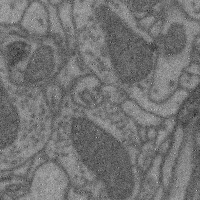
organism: Mouse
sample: Cerebral cortex